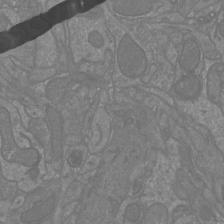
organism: Mouse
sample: Cortical neurons